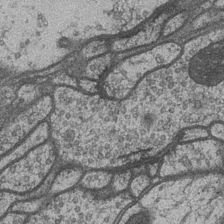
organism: Drosophila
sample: Optic medulla